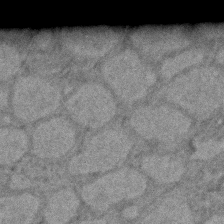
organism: Zebrafish